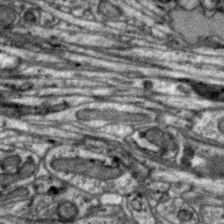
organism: Zebra finch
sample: Brain